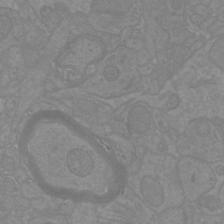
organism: Mouse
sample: Cortical neurons